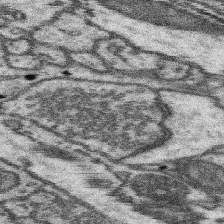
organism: Mouse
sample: Somatosensory cortex neuropil